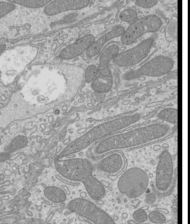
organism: Mouse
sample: Cilia; mouse epididymis